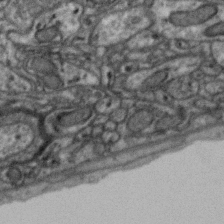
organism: Zebra finch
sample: Brain